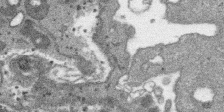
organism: Human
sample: Lung epithelial cells infected with SARS-CoV-2